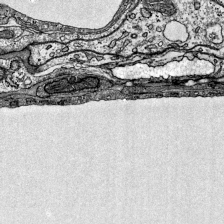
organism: Mouse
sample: Visual Cortex